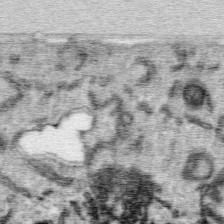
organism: Human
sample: HeLa cells